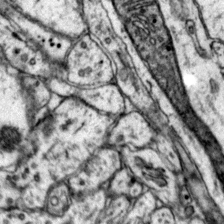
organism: Mouse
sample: Primary visual cortex